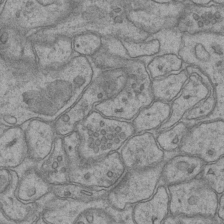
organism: Mouse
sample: CA1 Hippocampus